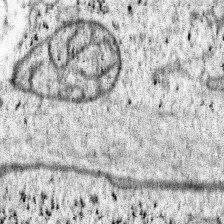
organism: Human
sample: HeLa cells